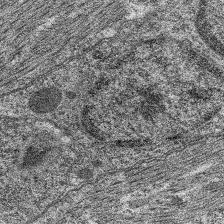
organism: C. elegans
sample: Pharynx